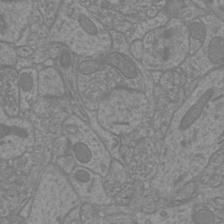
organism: Mouse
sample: Cortical neurons